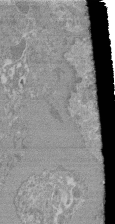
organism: Mouse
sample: Glomerulus